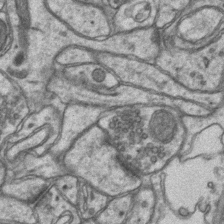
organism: Mouse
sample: CA1 Hippocampus